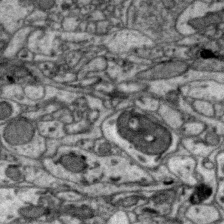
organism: Zebra finch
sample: Brain